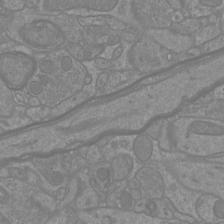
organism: Mouse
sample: Cortical neurons